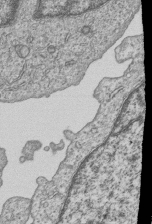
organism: Human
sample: MDA-MB-231 cells